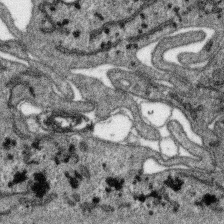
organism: Human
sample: Lung epithelial cells infected with SARS-CoV-2